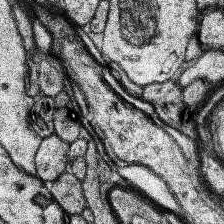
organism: Human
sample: Temporal Lobe